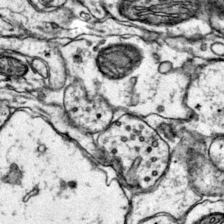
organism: Mouse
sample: Primary visual cortex